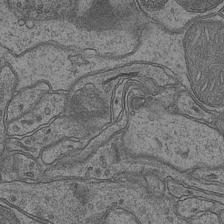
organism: Mouse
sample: CA1 Hippocampus